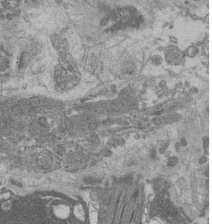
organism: Rat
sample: Salivary granule